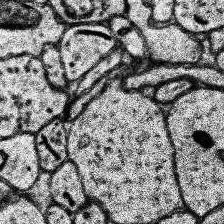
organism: Human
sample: Temporal Lobe